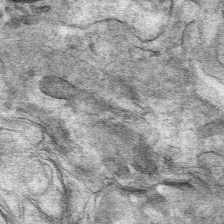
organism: Mouse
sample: Mouse hepatocytes